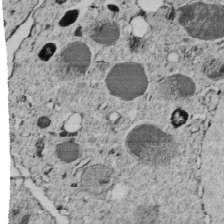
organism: C. elegans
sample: C. elegans embryo early stage